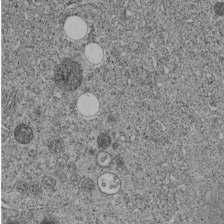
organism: C. elegans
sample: C. elegans embryo early stage